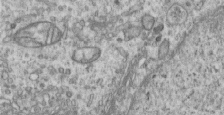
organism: Human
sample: Centriole in RPE cells